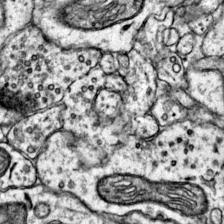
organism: Mouse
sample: Primary visual cortex